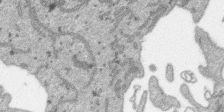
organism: Human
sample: Lung epithelial cells infected with SARS-CoV-2